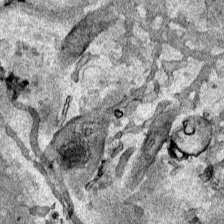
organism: Human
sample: Mitochondria in HCT116 cells